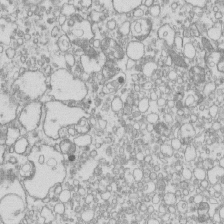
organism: Mouse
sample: Macrophages